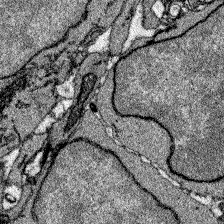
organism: Zebrafish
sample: Larval olfactory bulb